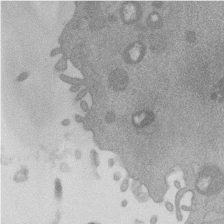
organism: Mouse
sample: Dividing mouse embryo 1 cell stage